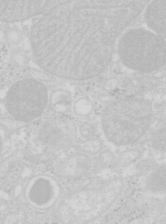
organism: Mouse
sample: Pancreas